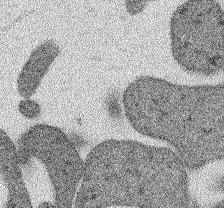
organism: Human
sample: HeLa cells